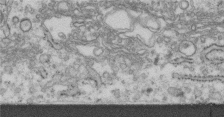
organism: Human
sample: Centriole in fibroblast cells